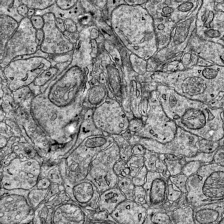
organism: Mouse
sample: Visual Cortex